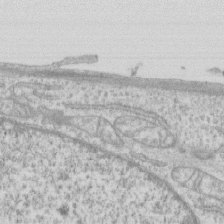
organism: Human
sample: CRL-1474